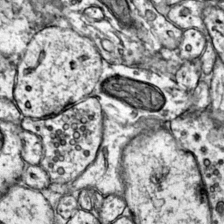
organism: Mouse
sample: Primary visual cortex